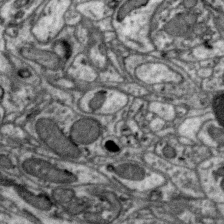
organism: Zebra finch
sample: Brain